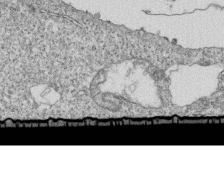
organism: Human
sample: HeLa cell HIV synapse